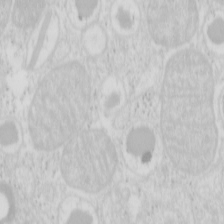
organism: Mouse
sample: Pancreas